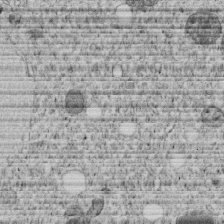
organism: C. elegans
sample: C. elegans embryo early stage